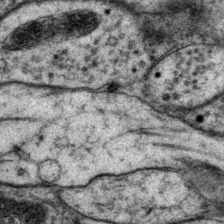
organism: P. pacificus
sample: Pharynx